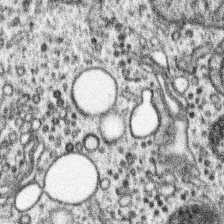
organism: Human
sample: HeLa cells